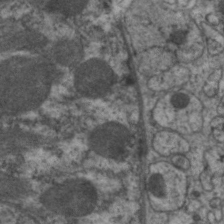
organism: C. elegans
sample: Pharynx